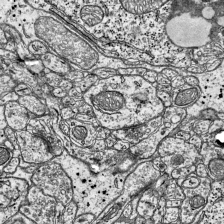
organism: Mouse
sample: Visual Cortex